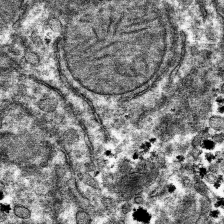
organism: Mouse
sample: Mouse hepatocytes